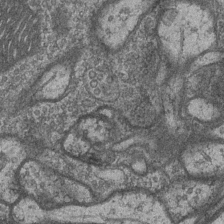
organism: Drosophila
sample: Optic medulla